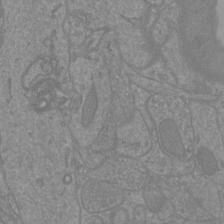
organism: Mouse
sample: Cortical neurons